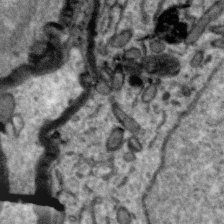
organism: Zebra finch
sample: Brain